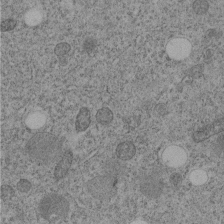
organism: C. elegans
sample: C. elegans embryo early stage